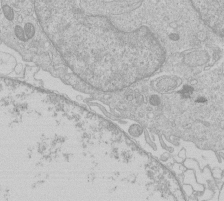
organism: Human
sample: Macrophage cells